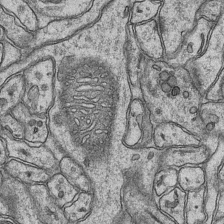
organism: Mouse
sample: CA1 Hippocampus